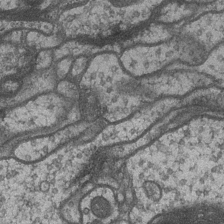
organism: Drosophila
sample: Optic medulla